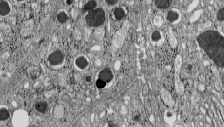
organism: C57BL Mouse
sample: Pancreatic islet